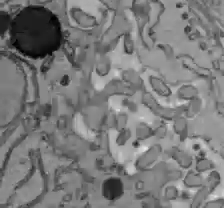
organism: C57BL Mouse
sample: Liver